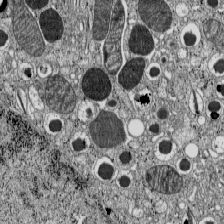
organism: C57BL Mouse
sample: Pancreatic islet